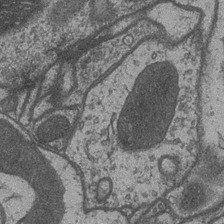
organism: Drosophila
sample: Optic medulla